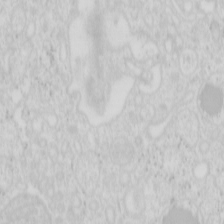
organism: Mouse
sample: Pancreas